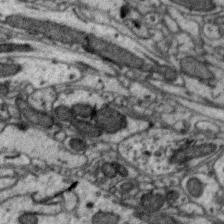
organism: Zebra finch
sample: Brain